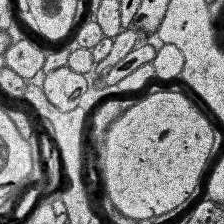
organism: Human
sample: Temporal Lobe